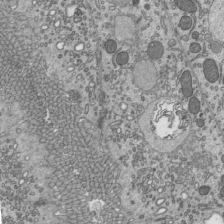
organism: Mouse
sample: Mouse epididymis efferent ductule cilia